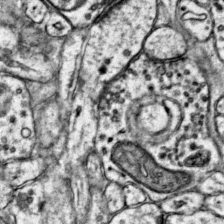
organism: Mouse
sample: Primary visual cortex